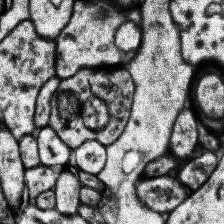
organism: Human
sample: Temporal Lobe